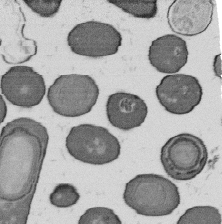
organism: B. subtilis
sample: Bacterial spore